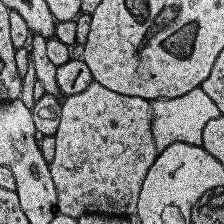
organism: Human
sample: Temporal Lobe